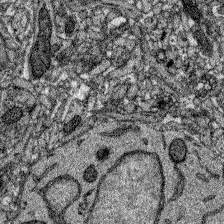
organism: Zebrafish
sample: Larval olfactory bulb